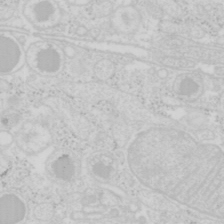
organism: Mouse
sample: Pancreas